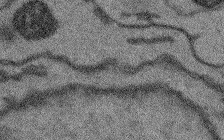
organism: Arabidopsis thaliana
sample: Root tip